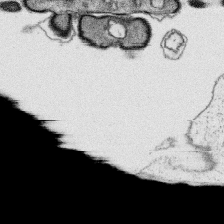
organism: Platynereis dumerilii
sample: Parapodia